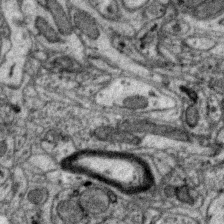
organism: Zebra finch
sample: Brain